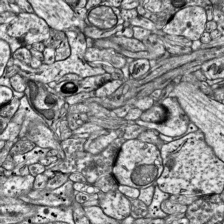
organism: Mouse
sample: Visual Cortex